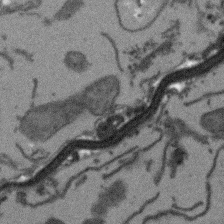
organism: Arabidopsis thaliana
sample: Root tip